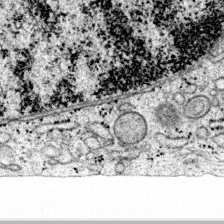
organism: Human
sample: HeLa cells